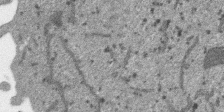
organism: Human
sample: Lung epithelial cells infected with SARS-CoV-2